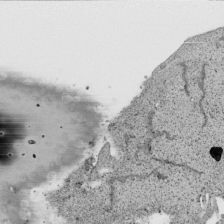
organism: Human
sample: Mitochondria in HCT116 cells